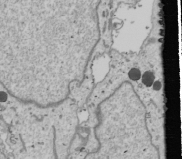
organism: Human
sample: Mitochondria in U2OS cells